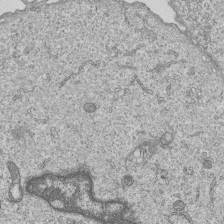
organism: Human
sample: MDA-MB-231 cells